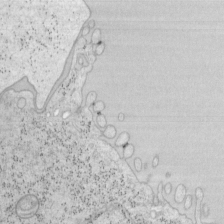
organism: Mouse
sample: OT-I killer T cells with ID8 ovarian cancer cells